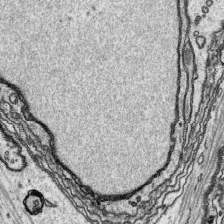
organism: Platynereis dumerilii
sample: Parapodia